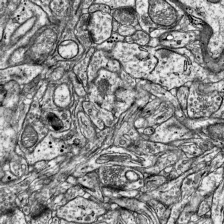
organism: Mouse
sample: Visual Cortex